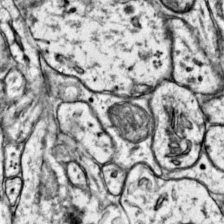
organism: Mouse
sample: Primary visual cortex